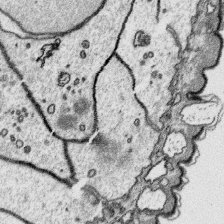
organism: Platynereis dumerilii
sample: Parapodia